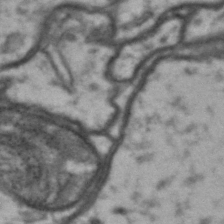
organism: Drosophila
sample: Brain